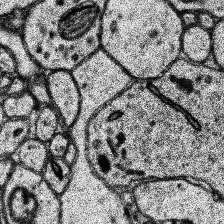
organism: Human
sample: Temporal Lobe